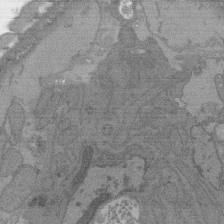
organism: C. elegans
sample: AFD neurons C. elegans